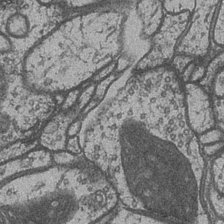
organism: Drosophila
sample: Optic medulla